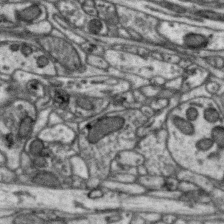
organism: Zebra finch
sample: Brain